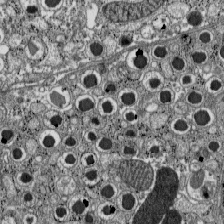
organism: C57BL Mouse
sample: Pancreatic islet